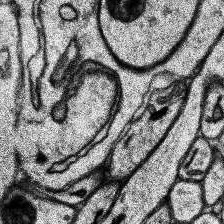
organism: Human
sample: Temporal Lobe